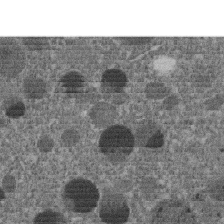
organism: C. elegans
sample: C. elegans embryo early stage